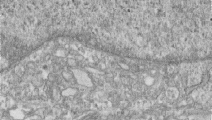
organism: Human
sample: Centriole in RPE cells